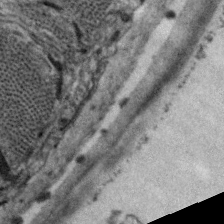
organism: C. elegans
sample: Pharynx